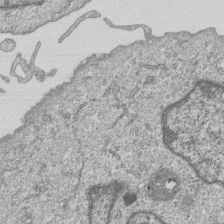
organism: Human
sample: MDA-MB-231 cells